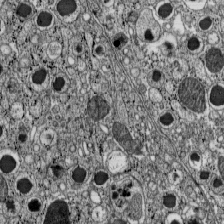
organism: C57BL Mouse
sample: Pancreatic islet